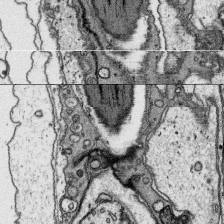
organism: Platynereis dumerilii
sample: Parapodia